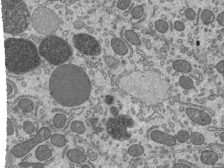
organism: Mouse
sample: Mouse epididymis efferent ductule cilia